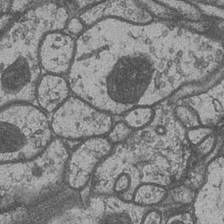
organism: Drosophila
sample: Optic medulla